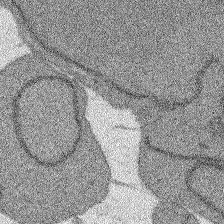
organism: Human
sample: HeLa cells